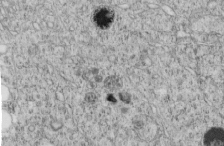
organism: C. elegans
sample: C. elegans embryo early stage